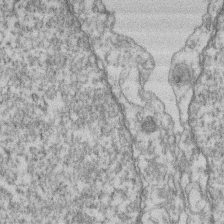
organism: Mouse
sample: T cell stromal cell synapse